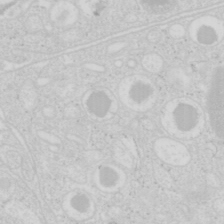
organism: Mouse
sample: Pancreas